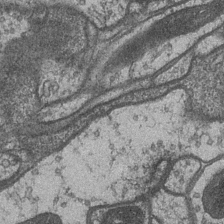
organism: Drosophila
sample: Optic medulla